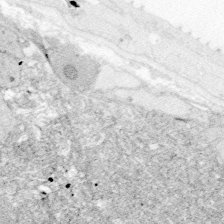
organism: Zebrafish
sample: Whole-Brain